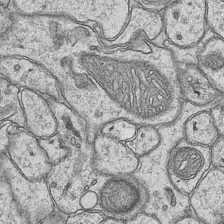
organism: Mouse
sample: CA1 Hippocampus